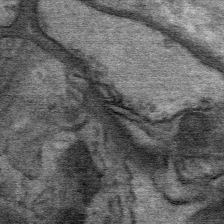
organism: Mouse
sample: Mouse Salivary gland